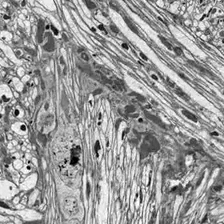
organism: Drosophila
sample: Optic lobe